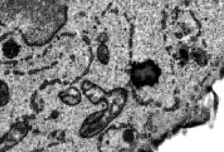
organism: Human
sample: HeLa cells